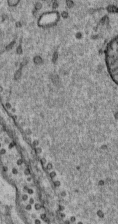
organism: Mouse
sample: Mouse Salivary gland